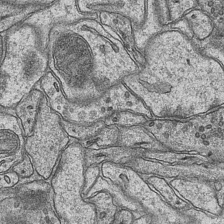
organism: Mouse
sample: CA1 Hippocampus